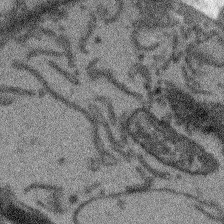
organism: Arabidopsis thaliana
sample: Root tip